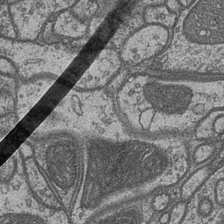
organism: Drosophila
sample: Optic medulla